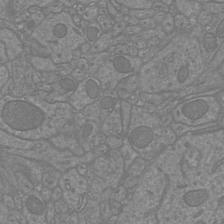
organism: Mouse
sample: Cortical neurons